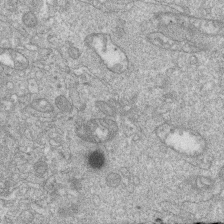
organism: Human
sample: HeLa cell HIV synapse